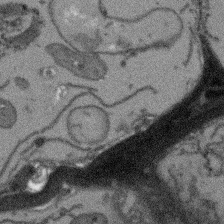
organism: Arabidopsis thaliana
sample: Root tip